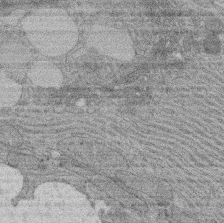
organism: Rat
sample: Salivary granule